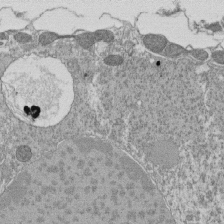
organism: Tetrahymena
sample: Cilia in tetrahymena